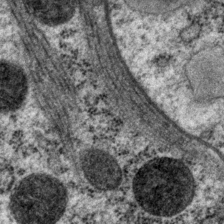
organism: P. pacificus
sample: Pharynx